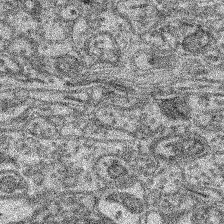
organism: Mouse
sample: Retina